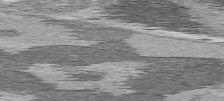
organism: C57BL Mouse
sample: Heart